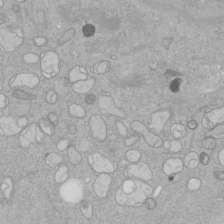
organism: Human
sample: Mitochondria in HCT116 cells